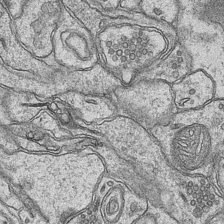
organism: Mouse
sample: CA1 Hippocampus